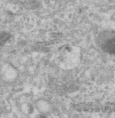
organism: Human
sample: Centriole in RPE cells